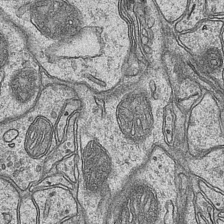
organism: Mouse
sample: CA1 Hippocampus